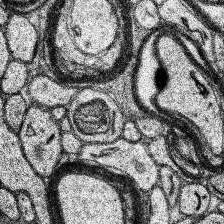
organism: Human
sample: Temporal Lobe